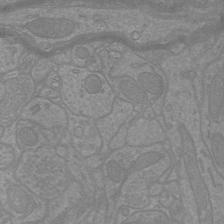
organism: Mouse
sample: Cortical neurons